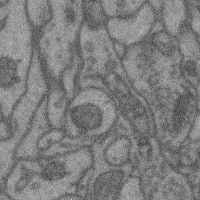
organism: Mouse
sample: Cerebral cortex